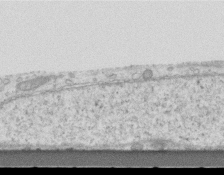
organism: Mouse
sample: Centriole in ependymal cells